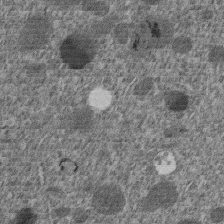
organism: C. elegans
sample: C. elegans embryo early stage